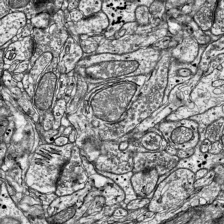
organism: Mouse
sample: Visual Cortex